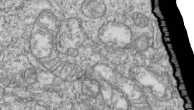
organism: Human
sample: HeLa cell HIV synapse